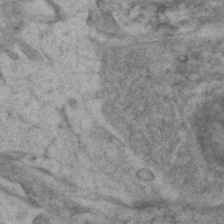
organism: Zebrafish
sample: Zebrafish embryo